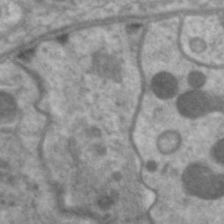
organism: C. elegans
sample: Pharynx